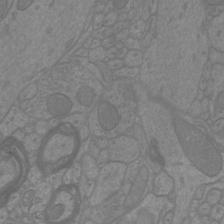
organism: Mouse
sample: Cortical neurons